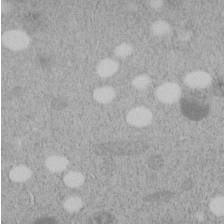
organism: C. elegans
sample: C. elegans embryo early stage